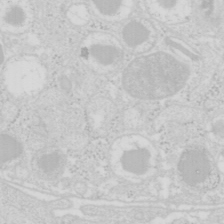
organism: Mouse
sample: Pancreas